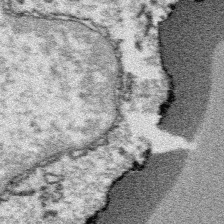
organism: Platynereis dumerilii